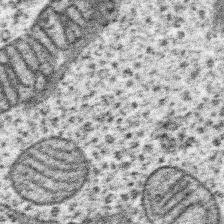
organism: Human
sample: HeLa cells